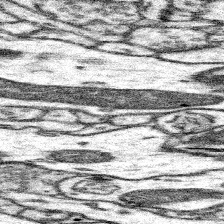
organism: Mouse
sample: Somatosensory cortex neuropil